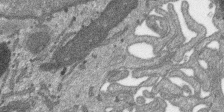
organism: Human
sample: Lung epithelial cells infected with SARS-CoV-2